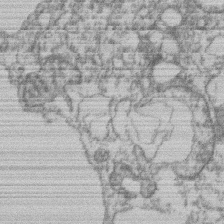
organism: Mouse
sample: T cell stromal cell synapse